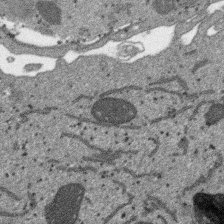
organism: Human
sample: Lung epithelial cells infected with SARS-CoV-2